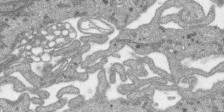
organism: Human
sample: Lung epithelial cells infected with SARS-CoV-2